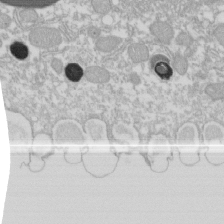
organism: Xenopus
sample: Cilia; centrioles in frog embryo cells